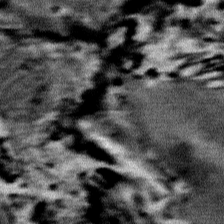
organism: Mouse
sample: Mouse Salivary gland